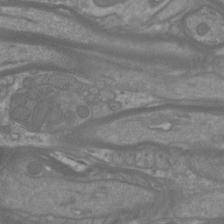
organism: Mouse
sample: Cortical neurons